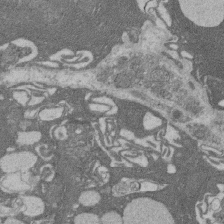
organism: Rat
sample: Salivary granule